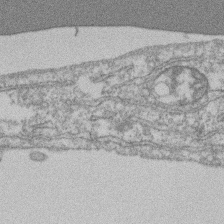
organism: Mouse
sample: T cell stromal cell synapse